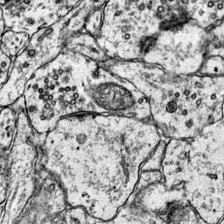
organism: Mouse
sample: Primary visual cortex